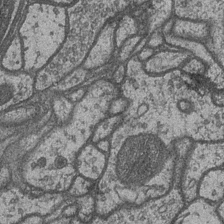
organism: Drosophila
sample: Optic medulla